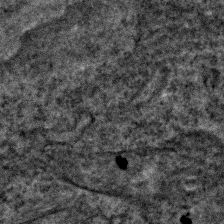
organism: C. elegans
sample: C. elegans embryo